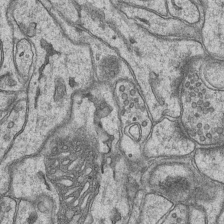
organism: Mouse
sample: CA1 Hippocampus